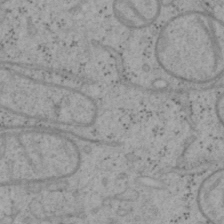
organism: Human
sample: HeLa cells